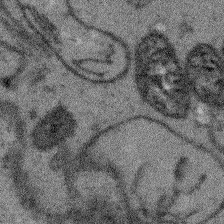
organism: Arabidopsis thaliana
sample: Root tip